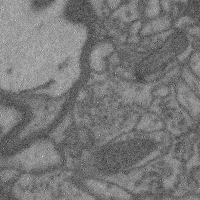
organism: Mouse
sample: Cerebral cortex